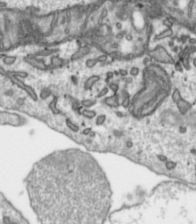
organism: Toxoplasma gondii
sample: Parasites in a vacuole inside a host cell